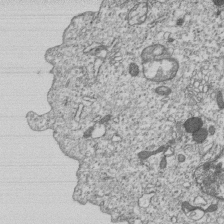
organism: Human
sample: MDA-MB-231 cells